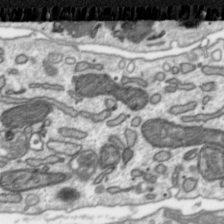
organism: Toxoplasma gondii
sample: Parasites in a vacuole inside a host cell